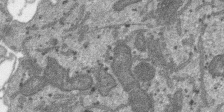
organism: Human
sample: Lung epithelial cells infected with SARS-CoV-2